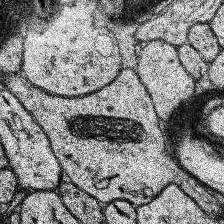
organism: Human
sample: Temporal Lobe